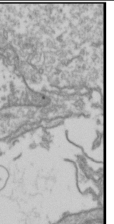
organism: Drosophila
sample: Cell division; meiosis; drosophila spermatocytes